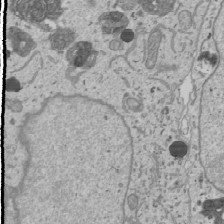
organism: Human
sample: Mitochondria in U2OS cells